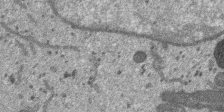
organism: Human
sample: Lung epithelial cells infected with SARS-CoV-2